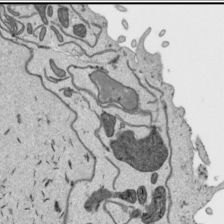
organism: Human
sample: Mitochondria in HCT116 cells